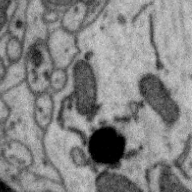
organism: Zebra finch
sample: Brain